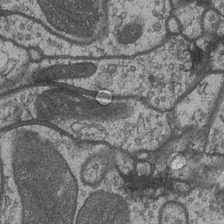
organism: Drosophila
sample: Optic medulla